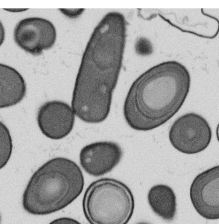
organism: B. subtilis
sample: Bacterial spore